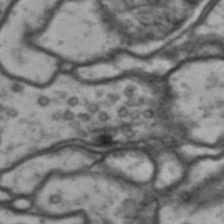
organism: Drosophila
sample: Brain